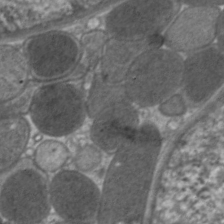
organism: C. elegans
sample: Pharynx